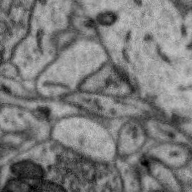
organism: Zebra finch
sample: Brain